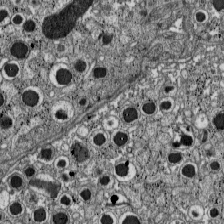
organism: C57BL Mouse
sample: Pancreatic islet